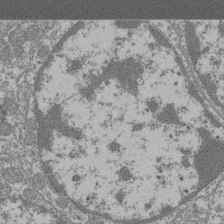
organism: Mouse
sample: Glomerulus